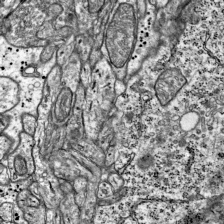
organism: Mouse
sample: Visual Cortex